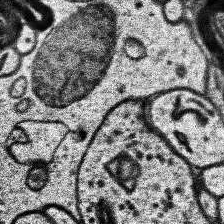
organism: Human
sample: Temporal Lobe